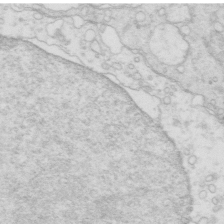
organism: Mouse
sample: Multiciliated cells